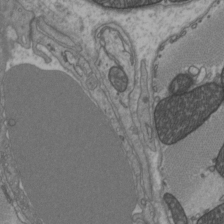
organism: C57BL Mouse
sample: Heart